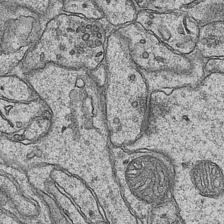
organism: Mouse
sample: CA1 Hippocampus